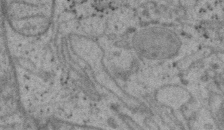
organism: Human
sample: HeLa cells